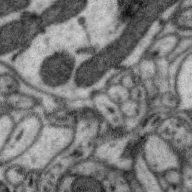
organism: Zebra finch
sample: Brain